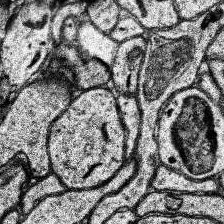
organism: Human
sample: Temporal Lobe